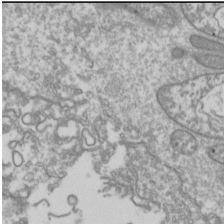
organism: Drosophila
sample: Cell division; meiosis; drosophila spermatocytes